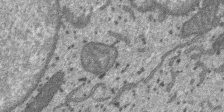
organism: Human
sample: Lung epithelial cells infected with SARS-CoV-2